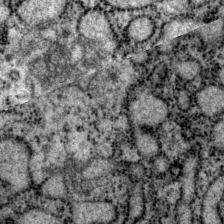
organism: P. pacificus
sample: Pharynx